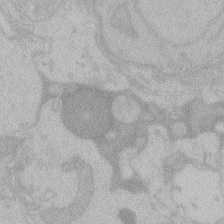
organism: Zebrafish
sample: Macrophage infected with Toxoplasma gondii